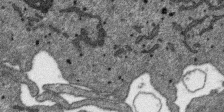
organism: Human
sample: Lung epithelial cells infected with SARS-CoV-2